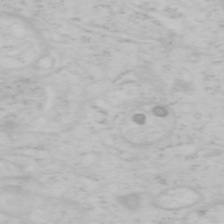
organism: Mouse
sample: OT-I killer T cells with ID8 ovarian cancer cells